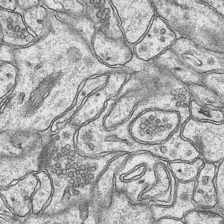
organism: Mouse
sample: CA1 Hippocampus